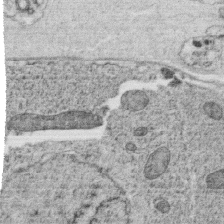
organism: C. elegans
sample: C. elegans oocyte; sperm cells